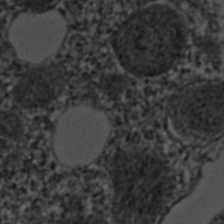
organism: C. elegans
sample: C. elegans embryo